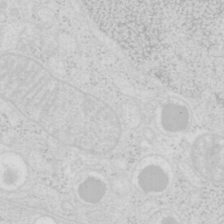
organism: Mouse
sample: Pancreas